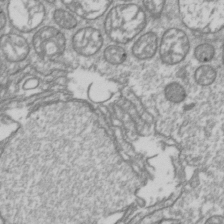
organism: Drosophila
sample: Cell division; meiosis; drosophila spermatocytes